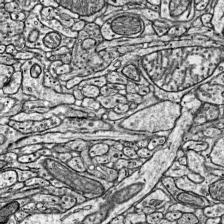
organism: Mouse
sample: Visual Cortex